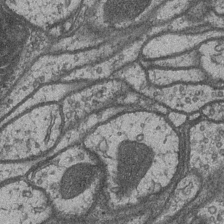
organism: Drosophila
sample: Optic medulla